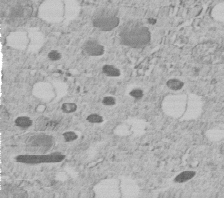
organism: C. elegans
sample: C. elegans embryo early stage